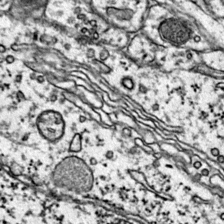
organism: Mouse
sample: Primary visual cortex